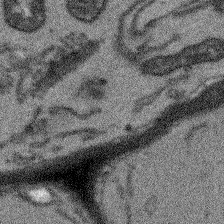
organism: Arabidopsis thaliana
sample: Root tip